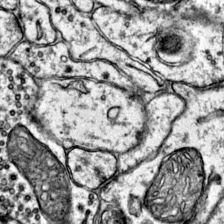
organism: Mouse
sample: Primary visual cortex